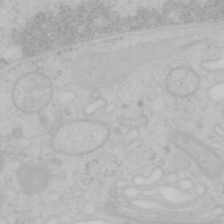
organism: Mouse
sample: OT-I killer T cells with ID8 ovarian cancer cells